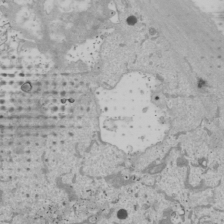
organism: Human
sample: Mitochondria in U2OS cells